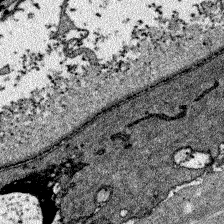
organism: Zebrafish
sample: Larval olfactory bulb